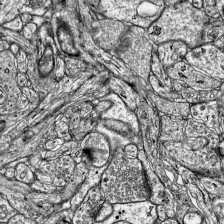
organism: Mouse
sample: Visual Cortex